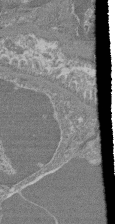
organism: Mouse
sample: Glomerulus